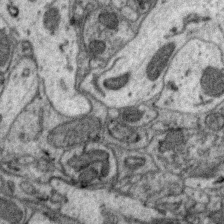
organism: Zebra finch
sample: Brain